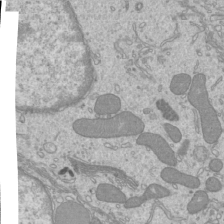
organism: Mouse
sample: Cilia; mouse epididymis